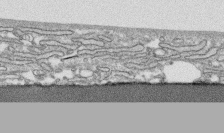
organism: Human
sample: CRL-1474